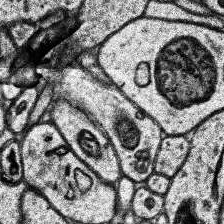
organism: Human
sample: Temporal Lobe